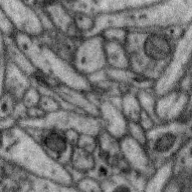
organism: Zebra finch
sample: Brain